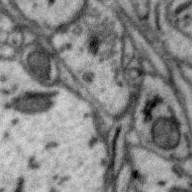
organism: Zebra finch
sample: Brain